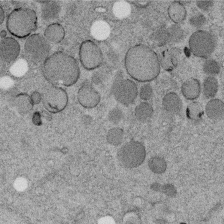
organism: C. elegans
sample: C. elegans embryo early stage